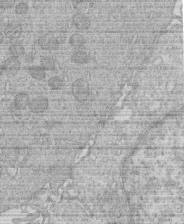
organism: Human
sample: Macrophage cells